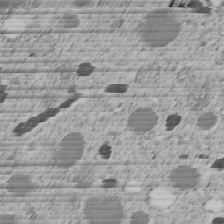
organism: C. elegans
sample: C. elegans embryo early stage